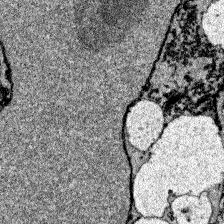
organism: Zebrafish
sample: Larval olfactory bulb